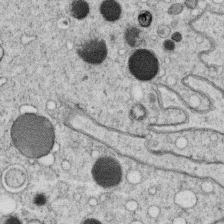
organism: C. elegans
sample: C. elegans oocyte; sperm cells